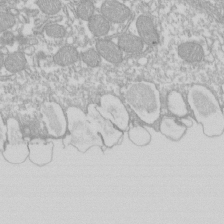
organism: Xenopus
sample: Cilia; centrioles in frog embryo cells